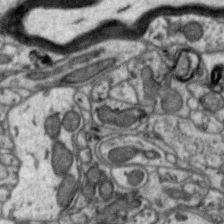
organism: Zebra finch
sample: Brain